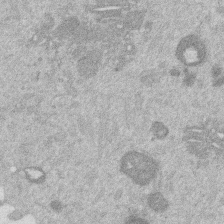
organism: Mouse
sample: Dividing mouse embryo 1 cell stage